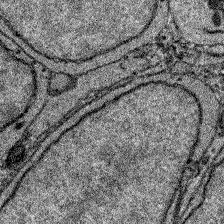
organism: Zebrafish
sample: Larval olfactory bulb